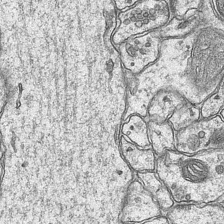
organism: Mouse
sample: CA1 Hippocampus